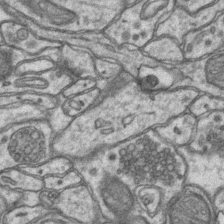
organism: Mouse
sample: CA1 Hippocampus